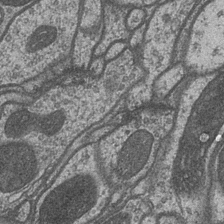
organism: Drosophila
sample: Optic medulla